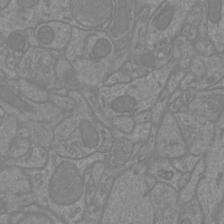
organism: Mouse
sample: Cortical neurons